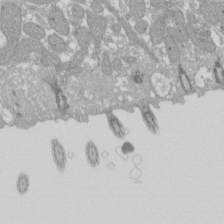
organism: Xenopus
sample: Cilia; centrioles in frog embryo cells